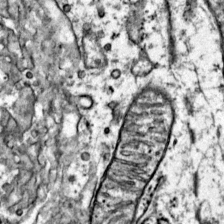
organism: Mouse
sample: Primary visual cortex